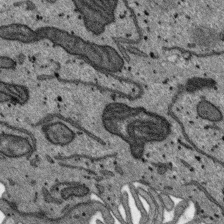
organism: Human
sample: Lung epithelial cells, uninfected (mock) control